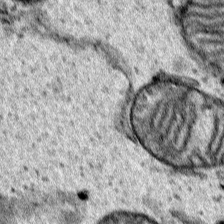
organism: Human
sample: Mitochondria in HCT116 cells